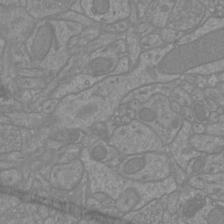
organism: Mouse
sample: Cortical neurons